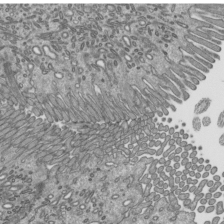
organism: Mouse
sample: Mouse epididymis efferent ductule cilia